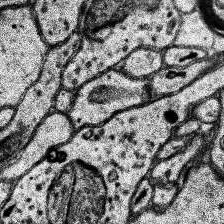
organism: Human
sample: Temporal Lobe